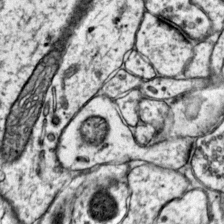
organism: Mouse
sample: Primary visual cortex